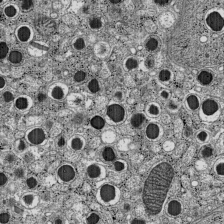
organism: C57BL Mouse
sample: Pancreatic islet